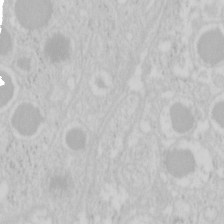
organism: Mouse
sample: Pancreas